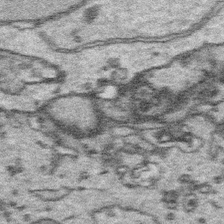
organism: Platynereis dumerilii